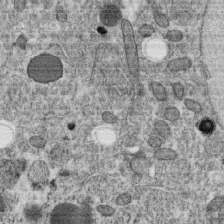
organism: C. elegans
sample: C. elegans oocyte; sperm cells